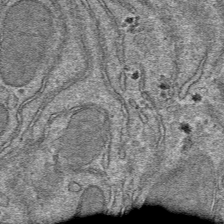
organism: Mouse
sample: Mouse hepatocytes